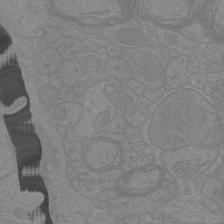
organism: Mouse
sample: Cortical neurons